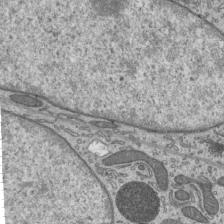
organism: Mouse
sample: Mouse epididymis efferent ductule cilia